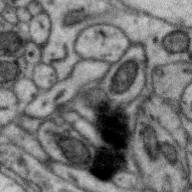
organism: Zebra finch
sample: Brain